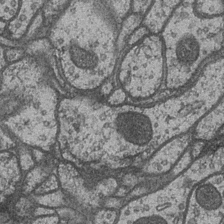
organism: Drosophila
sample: Optic medulla